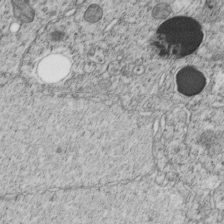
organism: C. elegans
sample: C. elegans embryo early stage